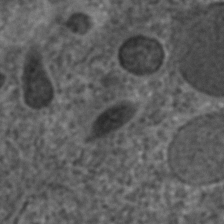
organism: C. elegans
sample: C. elegans embryo